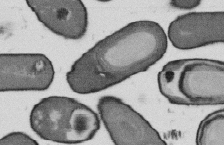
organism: B. subtilis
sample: Bacterial spore